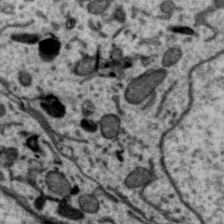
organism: Zebra finch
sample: Brain